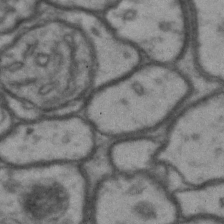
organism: Drosophila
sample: Brain